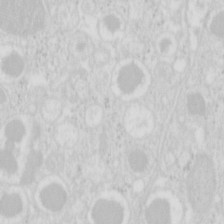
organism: Mouse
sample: Pancreas